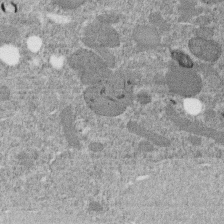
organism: C. elegans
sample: C. elegans embryo early stage